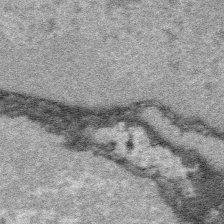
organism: Platynereis dumerilii